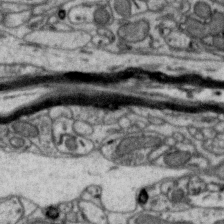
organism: Zebra finch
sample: Brain